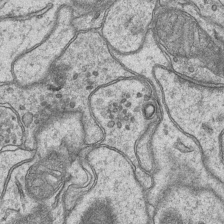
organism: Mouse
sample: CA1 Hippocampus